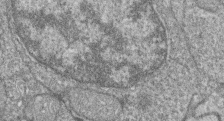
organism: Zebrafish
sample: Cilia; retinal pigment epithelium